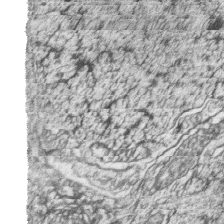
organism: Zebrafish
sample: synaptic ribbons in rod cells and cone cells